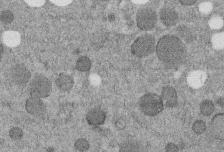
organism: C. elegans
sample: C. elegans embryo early stage